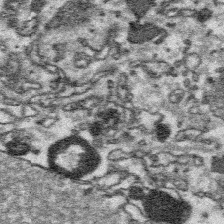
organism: Platynereis dumerilii